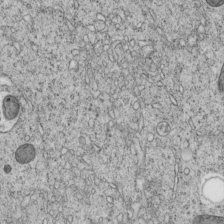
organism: C. elegans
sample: C. elegans embryo early stage